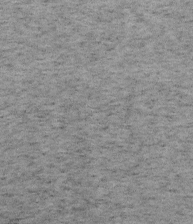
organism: Mouse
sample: OT-I killer T cells with ID8 ovarian cancer cells